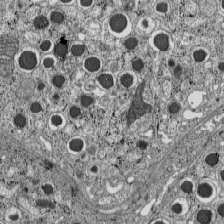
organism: C57BL Mouse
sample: Pancreatic islet